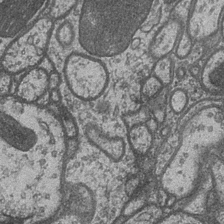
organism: Drosophila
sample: Optic medulla